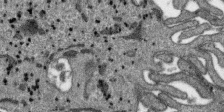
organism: Human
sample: Lung epithelial cells, uninfected (mock) control